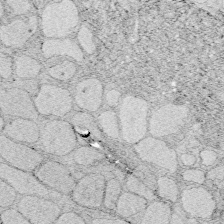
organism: Zebrafish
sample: Whole-Brain